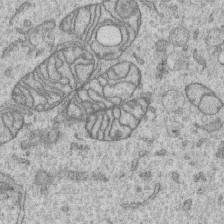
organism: Human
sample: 1205lu cells